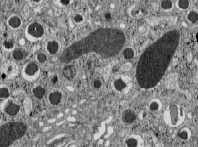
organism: C57BL Mouse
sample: Pancreatic islet